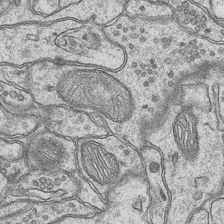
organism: Mouse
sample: CA1 Hippocampus